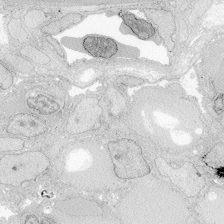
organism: Zebrafish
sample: Whole-Brain